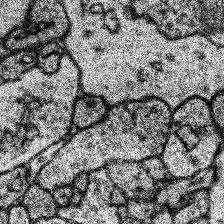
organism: Human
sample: Temporal Lobe